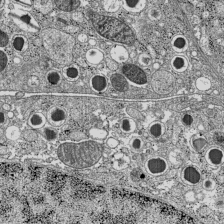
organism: C57BL Mouse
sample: Pancreatic islet